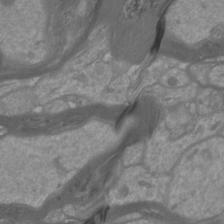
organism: Mouse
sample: Cortical neurons